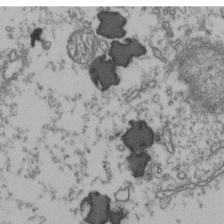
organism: Human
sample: Activated Jurkat CD4+ T cells